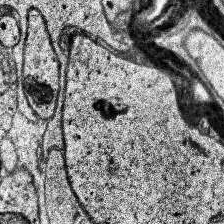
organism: Human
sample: Temporal Lobe